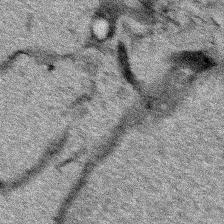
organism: Human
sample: Mitochondria in HCT116 cells